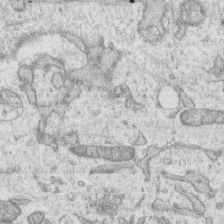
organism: Human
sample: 1205lu cells